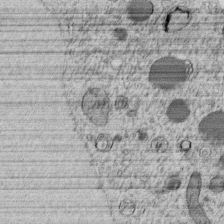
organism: C. elegans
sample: C. elegans embryo early stage